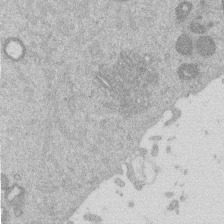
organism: Mouse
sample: Dividing mouse embryo 1 cell stage